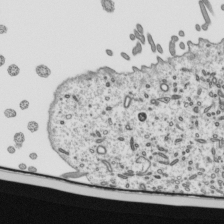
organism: Mouse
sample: Mouse epididymis efferent ductule cilia